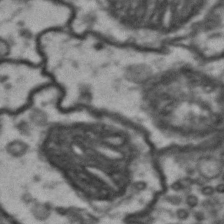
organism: Drosophila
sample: Brain